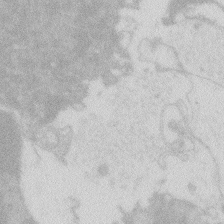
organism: Zebrafish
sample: Macrophage